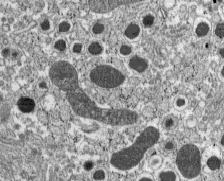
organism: C57BL Mouse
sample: Pancreatic islet